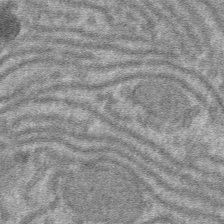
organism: Mouse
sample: Mouse hepatocytes